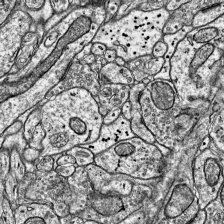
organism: Mouse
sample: Visual Cortex